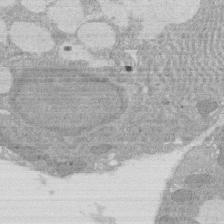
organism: Rat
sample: Salivary granule